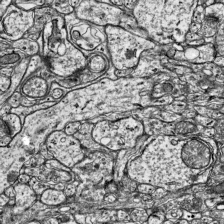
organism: Mouse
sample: Visual Cortex